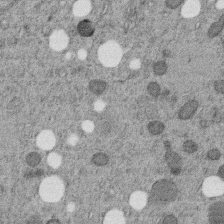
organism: C. elegans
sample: C. elegans embryo early stage